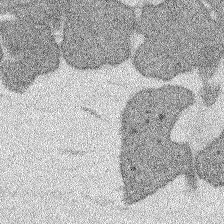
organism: Human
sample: HeLa cells